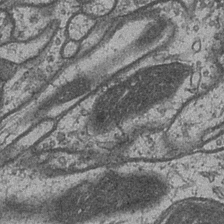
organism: Drosophila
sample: Optic medulla